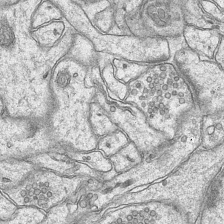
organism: Mouse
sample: CA1 Hippocampus